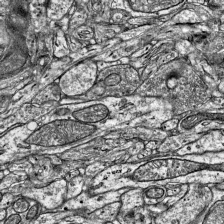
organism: Mouse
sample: Visual Cortex